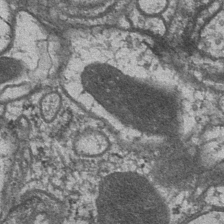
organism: Drosophila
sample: Optic medulla